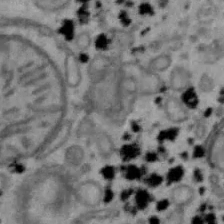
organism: Mouse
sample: Liver